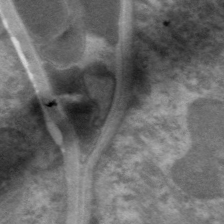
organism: C. elegans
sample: Pharynx